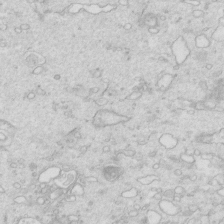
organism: Mouse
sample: Multiciliated cells